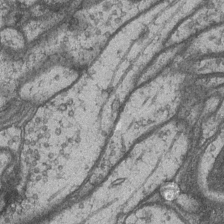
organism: Drosophila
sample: Optic medulla